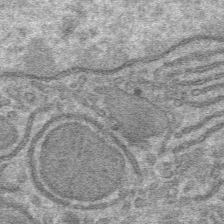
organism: Mouse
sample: Mouse hepatocytes